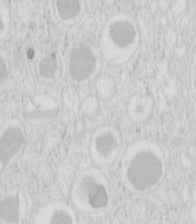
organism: Mouse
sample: Pancreas